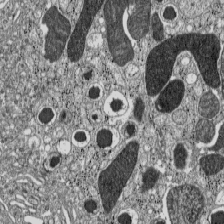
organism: C57BL Mouse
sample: Pancreatic islet